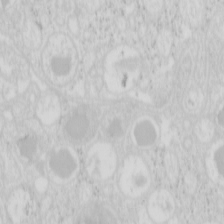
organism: Mouse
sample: Pancreas